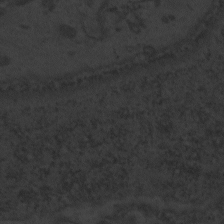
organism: Zebrafish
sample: Macrophage infected with Toxoplasma gondii